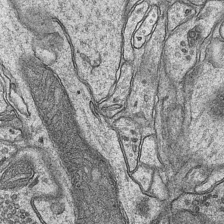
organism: Mouse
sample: CA1 Hippocampus